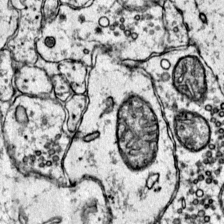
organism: Mouse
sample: Primary visual cortex